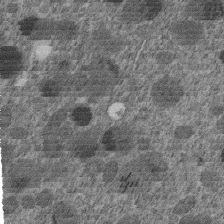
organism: C. elegans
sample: C. elegans embryo early stage